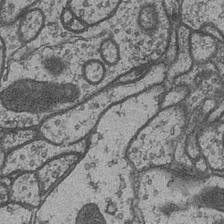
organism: Drosophila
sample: Optic medulla